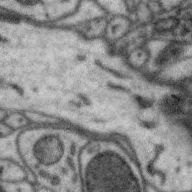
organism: Zebra finch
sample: Brain